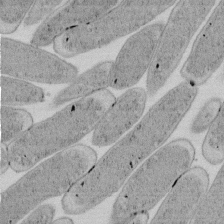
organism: E. coli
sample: Bacterial nucleoid